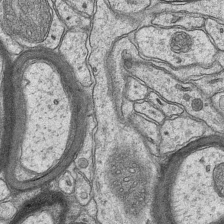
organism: Mouse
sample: CA1 Hippocampus